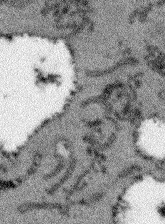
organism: Arabidopsis thaliana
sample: Root tip